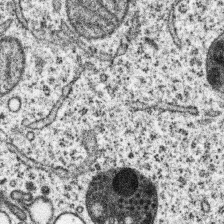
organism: Human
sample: HeLa cells